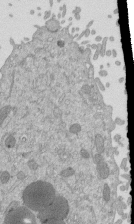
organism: Mouse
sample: ED-1 cell nuclei; centrioles